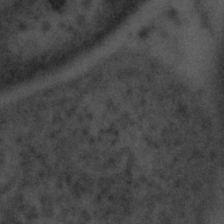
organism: Tuwongella immobilis